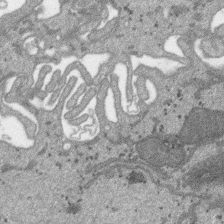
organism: Human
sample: Lung epithelial cells infected with SARS-CoV-2